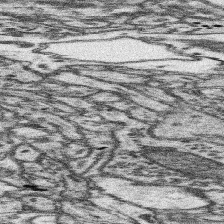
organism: Mouse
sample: Somatosensory cortex neuropil